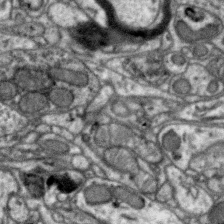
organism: Zebra finch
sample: Brain